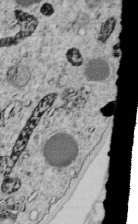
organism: C. elegans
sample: C. elegans embryo early stage